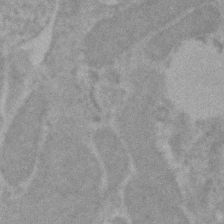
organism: Human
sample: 1205lu cells